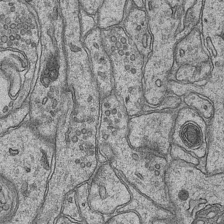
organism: Mouse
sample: CA1 Hippocampus